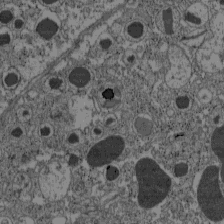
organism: C57BL Mouse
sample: Pancreatic islet